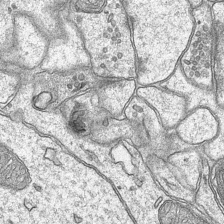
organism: Mouse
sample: CA1 Hippocampus